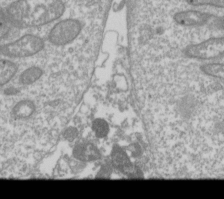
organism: Drosophila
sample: Cell division; meiosis; drosophila spermatocytes